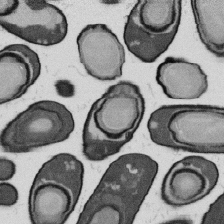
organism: B. subtilis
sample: Bacterial spore